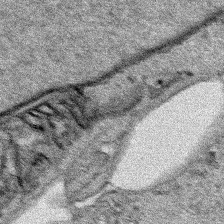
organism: Human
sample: Mitochondria in HCT116 cells